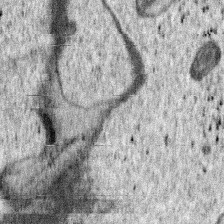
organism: Human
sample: HeLa cells